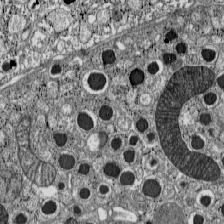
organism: C57BL Mouse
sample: Pancreatic islet